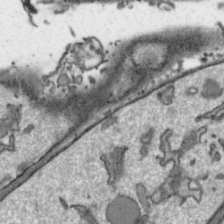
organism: Toxoplasma gondii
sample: Parasites in a vacuole inside a host cell